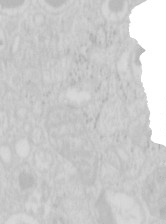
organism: Mouse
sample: Pancreas